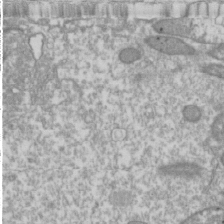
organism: Drosophila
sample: Cell division; meiosis; drosophila spermatocytes